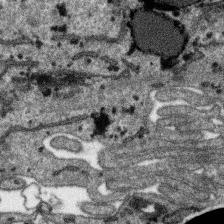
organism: Human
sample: Lung epithelial cells infected with SARS-CoV-2